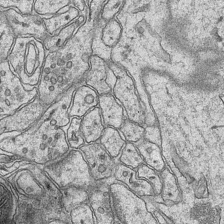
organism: Mouse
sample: CA1 Hippocampus